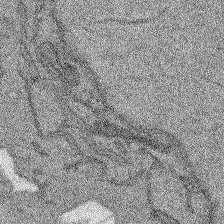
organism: Human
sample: HeLa cells